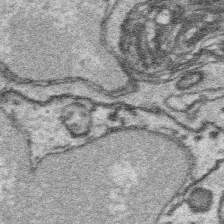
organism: Platynereis dumerilii